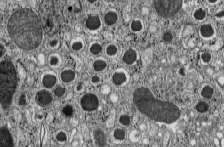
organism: C57BL Mouse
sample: Pancreatic islet